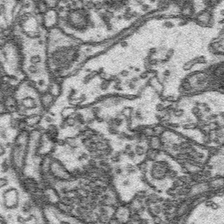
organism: Platynereis dumerilii